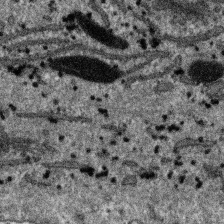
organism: Human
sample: Lung epithelial cells infected with SARS-CoV-2